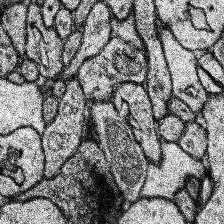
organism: Human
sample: Temporal Lobe